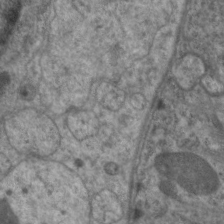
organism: C. elegans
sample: Pharynx